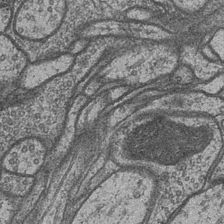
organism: Drosophila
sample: Optic medulla